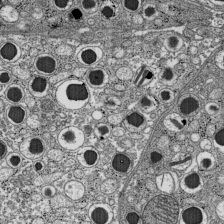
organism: C57BL Mouse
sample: Pancreatic islet